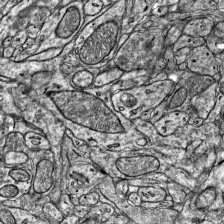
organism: Mouse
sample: Visual Cortex